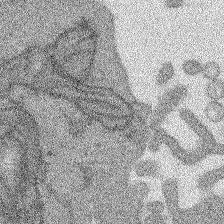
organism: Human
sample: HeLa cells